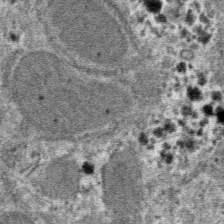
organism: Mouse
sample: Mouse hepatocytes